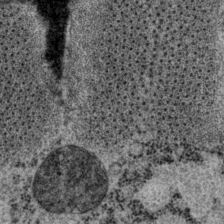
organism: P. pacificus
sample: Pharynx